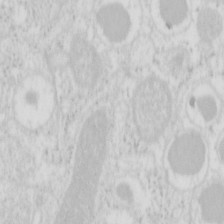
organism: Mouse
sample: Pancreas